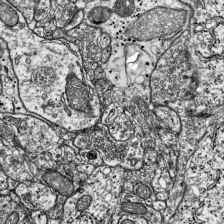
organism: Mouse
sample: Visual Cortex